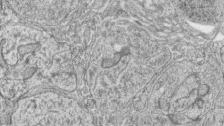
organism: Zebrafish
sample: synaptic ribbons in rod cells and cone cells